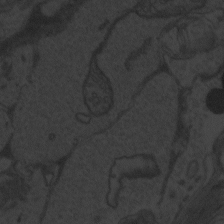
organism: Zebrafish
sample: Macrophage infected with Toxoplasma gondii